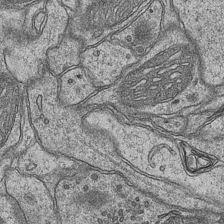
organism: Mouse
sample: CA1 Hippocampus